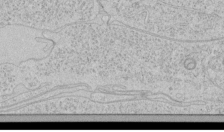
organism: Human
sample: Mitochondria in HCT116 cells